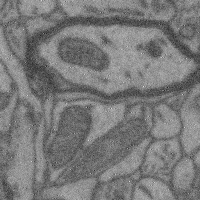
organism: Mouse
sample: Cerebral cortex